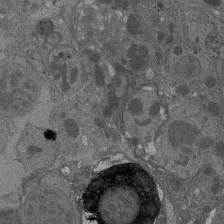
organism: Drosophila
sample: Antenna